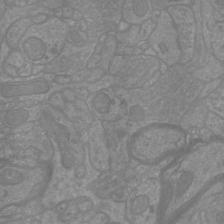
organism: Mouse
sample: Cortical neurons